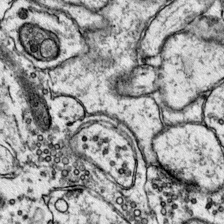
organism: Mouse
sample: Primary visual cortex